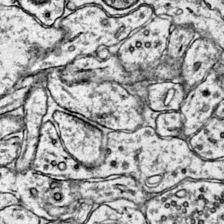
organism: Mouse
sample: Primary visual cortex